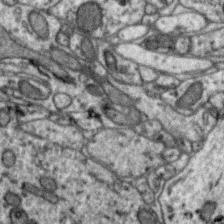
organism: Zebra finch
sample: Brain